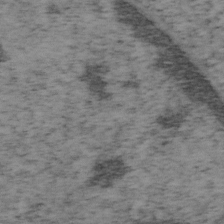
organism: Mouse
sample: OT-I killer T cells with ID8 ovarian cancer cells